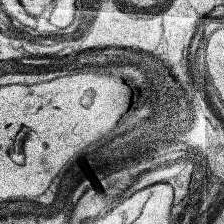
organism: Human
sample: Temporal Lobe